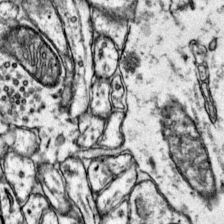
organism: Mouse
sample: Primary visual cortex